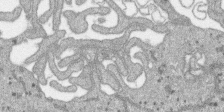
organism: Human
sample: Lung epithelial cells infected with SARS-CoV-2